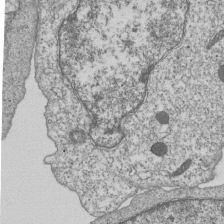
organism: Human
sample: MDA-MB-231 cells